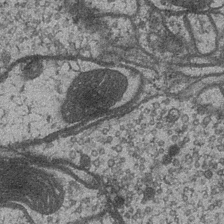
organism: Drosophila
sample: Optic medulla